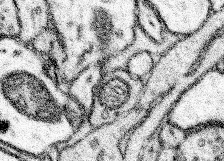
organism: Mouse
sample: Somatosensory cortex neuropil